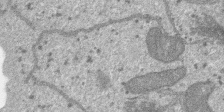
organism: Human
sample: Lung epithelial cells infected with SARS-CoV-2